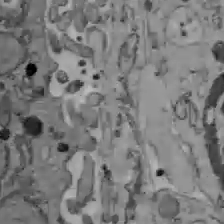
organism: C57BL Mouse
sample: Liver